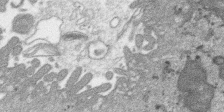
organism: Human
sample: Lung epithelial cells infected with SARS-CoV-2